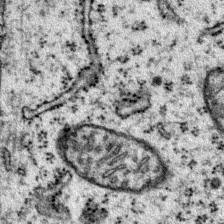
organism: Mouse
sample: Primary visual cortex